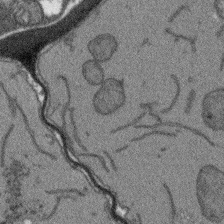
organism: Arabidopsis thaliana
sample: Root tip